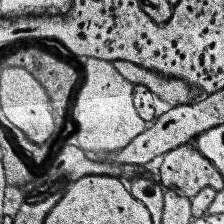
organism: Human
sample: Temporal Lobe